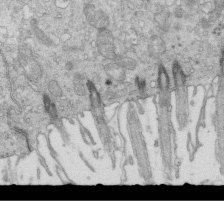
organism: Mouse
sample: Multiciliated cells